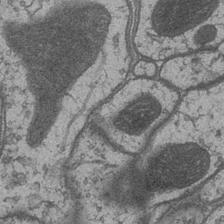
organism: Drosophila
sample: Optic medulla